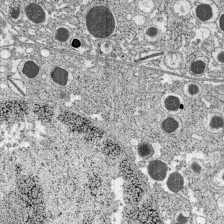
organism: C57BL Mouse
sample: Pancreatic islet